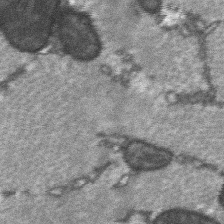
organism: C57BL Mouse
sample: Soleus